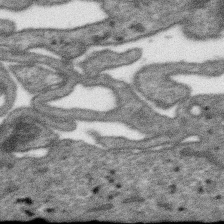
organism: Human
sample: Lung epithelial cells infected with SARS-CoV-2